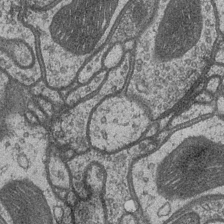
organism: Drosophila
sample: Optic medulla